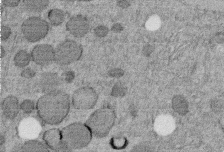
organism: C. elegans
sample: C. elegans embryo early stage